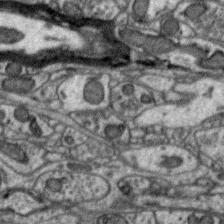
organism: Zebra finch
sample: Brain